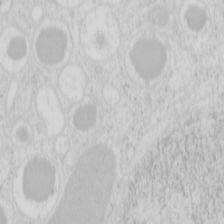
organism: Mouse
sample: Pancreas